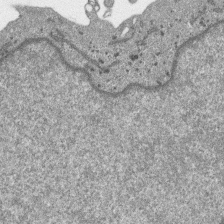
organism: Human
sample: Lung epithelial cells infected with SARS-CoV-2